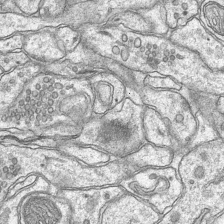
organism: Mouse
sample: CA1 Hippocampus